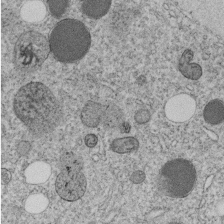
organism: C. elegans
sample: C. elegans embryo early stage